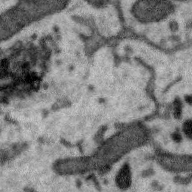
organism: Zebra finch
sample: Brain